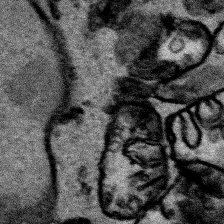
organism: Human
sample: Mitochondria in HCT116 cells